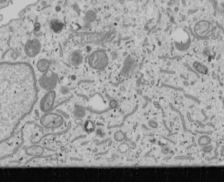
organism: Human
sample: Mitochondria in U2OS cells